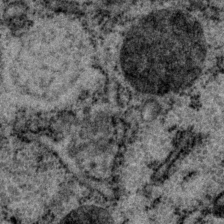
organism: P. pacificus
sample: Pharynx